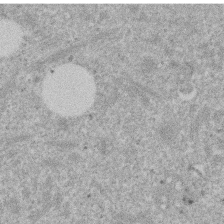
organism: Mouse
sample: Dividing mouse embryo 1 cell stage